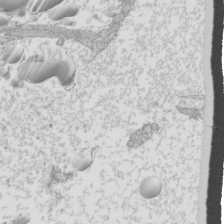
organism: Mouse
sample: Cilia; mouse epididymis